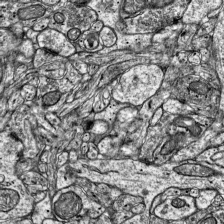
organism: Mouse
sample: Visual Cortex